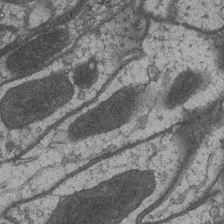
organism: Drosophila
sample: Optic medulla